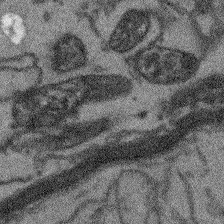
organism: Arabidopsis thaliana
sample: Root tip